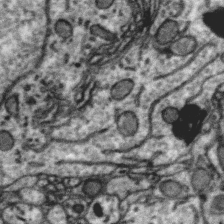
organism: Zebra finch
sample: Brain